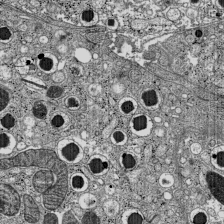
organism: C57BL Mouse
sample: Pancreatic islet